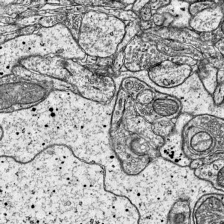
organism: Mouse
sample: Visual Cortex